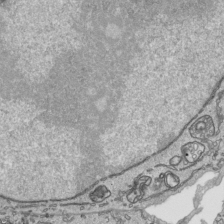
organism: Human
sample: Mitochondria in HCT116 cells